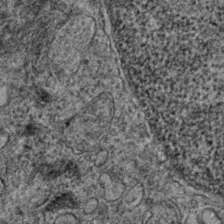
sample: Trachea